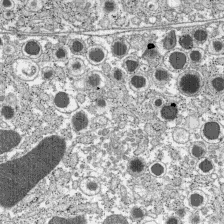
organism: C57BL Mouse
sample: Pancreatic islet